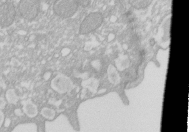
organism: Xenopus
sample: Cilia; centrioles in frog embryo cells